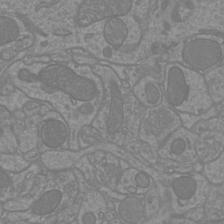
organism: Mouse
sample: Cortical neurons